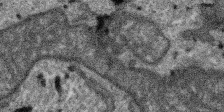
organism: Human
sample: Lung epithelial cells infected with SARS-CoV-2